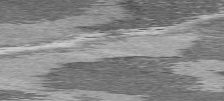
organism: C57BL Mouse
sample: Heart